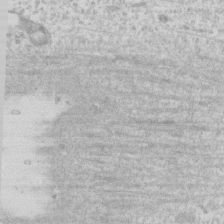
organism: Human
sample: Fibroblast cells